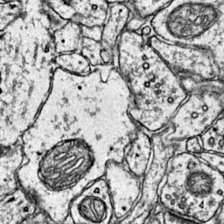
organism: Mouse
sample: Primary visual cortex